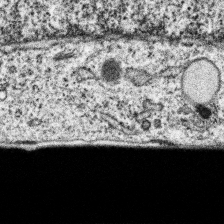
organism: Human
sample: HeLa cells